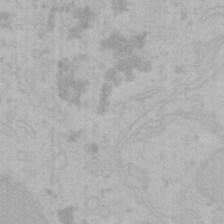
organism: Mouse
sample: Choroid plexus